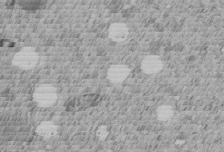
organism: C. elegans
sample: C. elegans embryo early stage